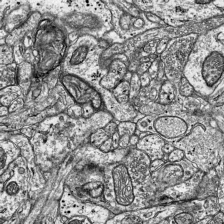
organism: Mouse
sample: Visual Cortex